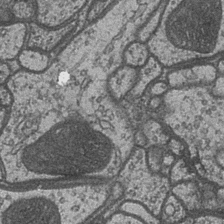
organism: Drosophila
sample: Optic medulla